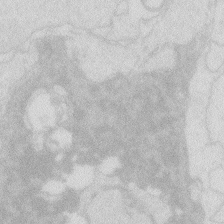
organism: Zebrafish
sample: Macrophage